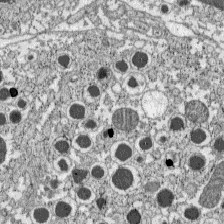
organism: C57BL Mouse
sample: Pancreatic islet